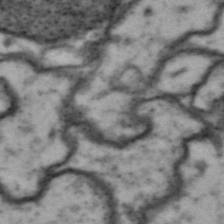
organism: Drosophila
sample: Brain